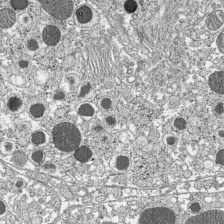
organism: C57BL Mouse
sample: Pancreatic islet